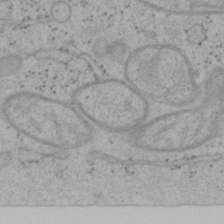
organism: Human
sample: HeLa cells